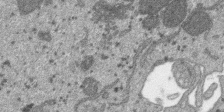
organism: Human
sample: Lung epithelial cells infected with SARS-CoV-2